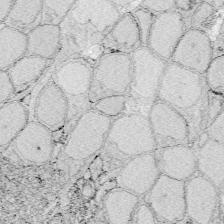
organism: Zebrafish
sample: Whole-Brain